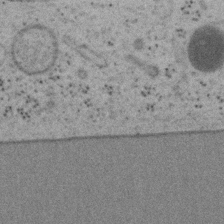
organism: Human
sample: HeLa cells